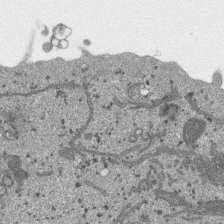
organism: Human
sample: Lung epithelial cells infected with SARS-CoV-2